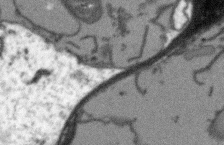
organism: Arabidopsis thaliana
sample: Root tip